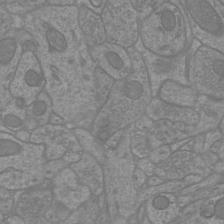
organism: Mouse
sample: Cortical neurons